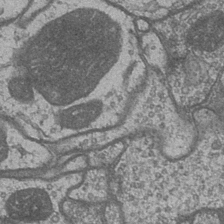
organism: Drosophila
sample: Optic medulla